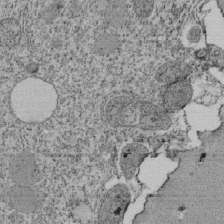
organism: Tetrahymena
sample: Cilia in tetrahymena